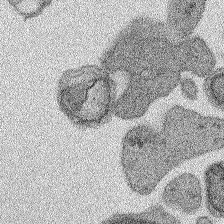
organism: Human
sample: HeLa cells